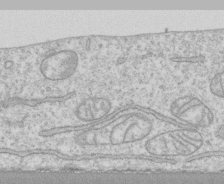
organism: Human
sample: CRL-1474